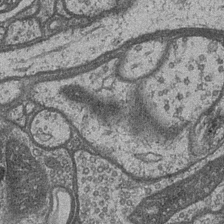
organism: Drosophila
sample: Optic medulla